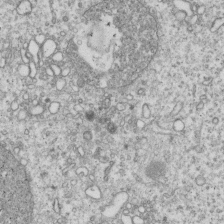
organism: Human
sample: MDA-MB-231 cells